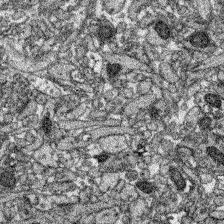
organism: Zebrafish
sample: Larval olfactory bulb